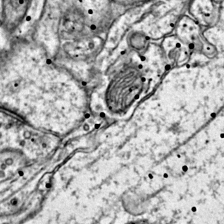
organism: Mouse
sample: Primary visual cortex